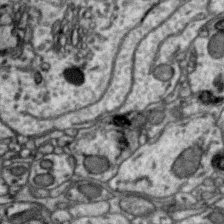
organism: Zebra finch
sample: Brain